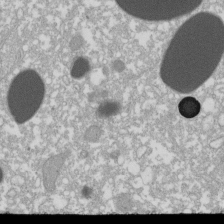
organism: Xenopus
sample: Cilia; centrioles in frog embryo cells